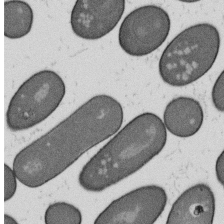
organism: B. subtilis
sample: Bacterial spore